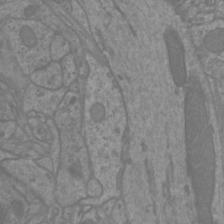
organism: Mouse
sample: Cortical neurons